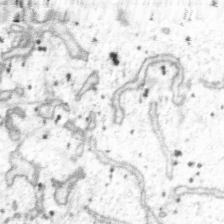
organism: Human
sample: HeLa cells